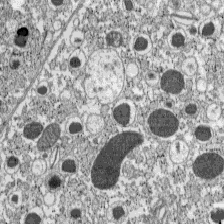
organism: C57BL Mouse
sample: Pancreatic islet